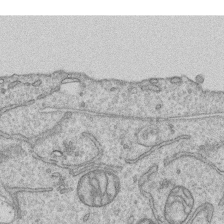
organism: Human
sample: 1205lu cells